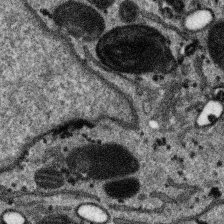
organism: Human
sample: Lung epithelial cells infected with SARS-CoV-2